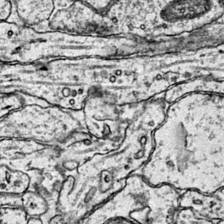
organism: Mouse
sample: Primary visual cortex